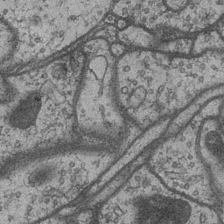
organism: Drosophila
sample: Optic medulla